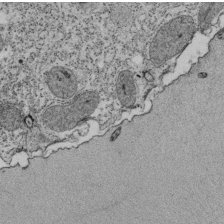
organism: Tetrahymena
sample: Cilia in tetrahymena